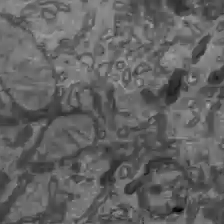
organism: C57BL Mouse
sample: Liver